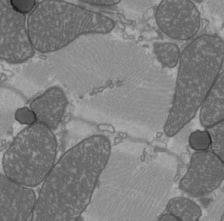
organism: C57BL Mouse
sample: Heart